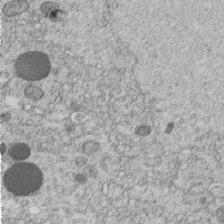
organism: C. elegans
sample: C. elegans embryo early stage